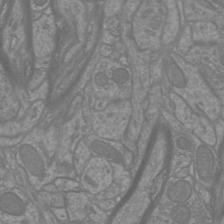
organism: Mouse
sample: Cortical neurons